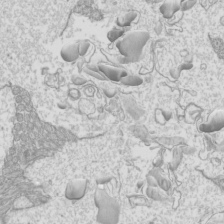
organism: Mouse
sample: Cilia; mouse epididymis